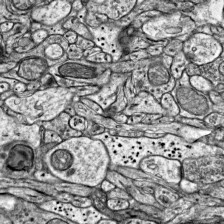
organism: Mouse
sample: Visual Cortex